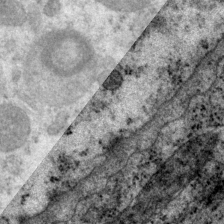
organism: P. pacificus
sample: Pharynx